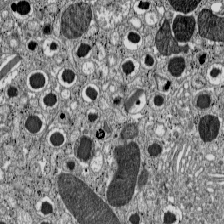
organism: C57BL Mouse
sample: Pancreatic islet